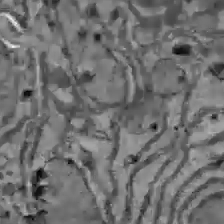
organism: C57BL Mouse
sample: Liver